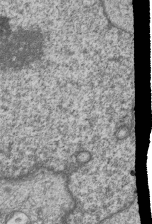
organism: Human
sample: MDA-MB-231 cells